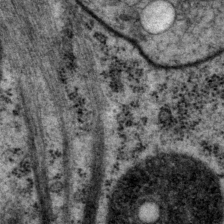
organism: P. pacificus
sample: Pharynx